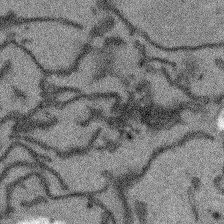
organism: Arabidopsis thaliana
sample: Root tip